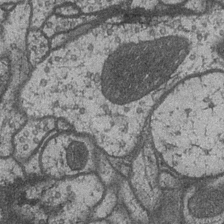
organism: Drosophila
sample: Optic medulla